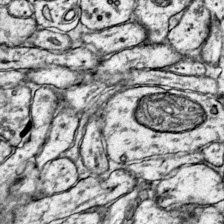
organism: Mouse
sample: Primary visual cortex